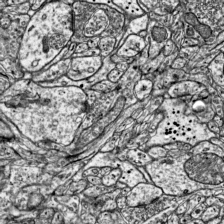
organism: Mouse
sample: Visual Cortex